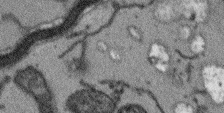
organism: Arabidopsis thaliana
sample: Root tip